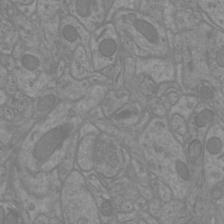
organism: Mouse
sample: Cortical neurons